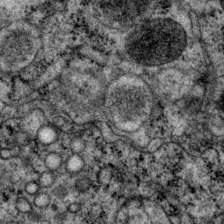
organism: P. pacificus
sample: Pharynx